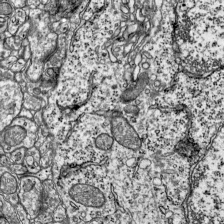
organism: Mouse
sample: Visual Cortex